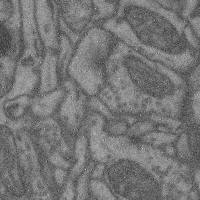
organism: Mouse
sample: Cerebral cortex